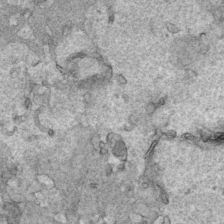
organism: Human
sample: Mitochondria in HCT116 cells